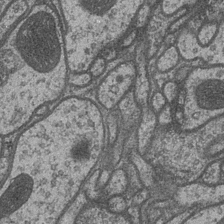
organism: Drosophila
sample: Optic medulla